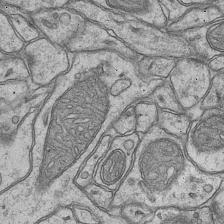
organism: Mouse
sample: CA1 Hippocampus